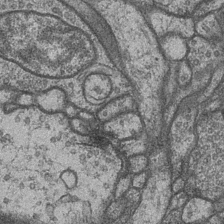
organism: Drosophila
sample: Optic medulla